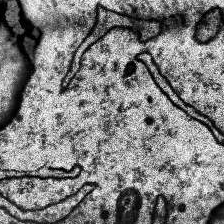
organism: Human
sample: Temporal Lobe